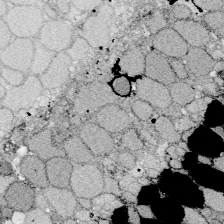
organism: Zebrafish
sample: Whole-Brain